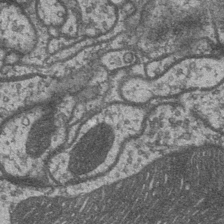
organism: Drosophila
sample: Optic medulla